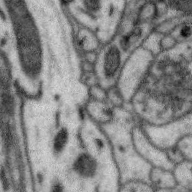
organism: Zebra finch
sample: Brain